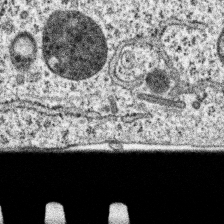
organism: Human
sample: HeLa cells